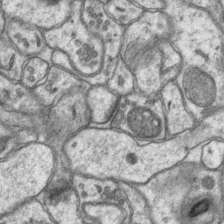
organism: Mouse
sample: CA1 Hippocampus